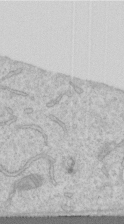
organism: Human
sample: Centriole in RPE cells